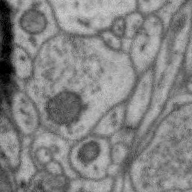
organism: Zebra finch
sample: Brain